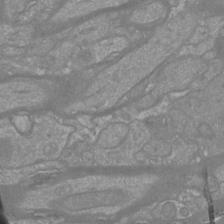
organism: Mouse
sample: Cortical neurons